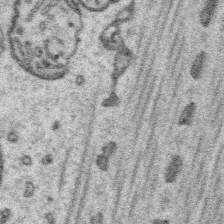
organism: Platynereis dumerilii